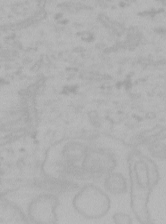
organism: Mouse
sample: Choroid plexus